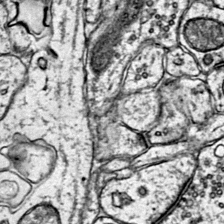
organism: Mouse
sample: Primary visual cortex